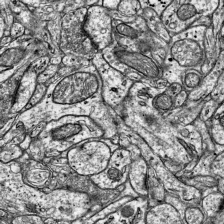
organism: Mouse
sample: Visual Cortex